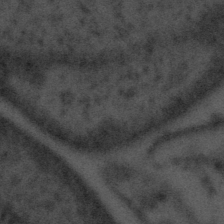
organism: Tuwongella immobilis